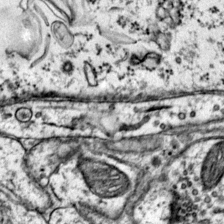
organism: Mouse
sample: Primary visual cortex